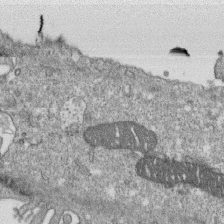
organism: African green monkey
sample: Vero E6 cells infected with SARS-CoV-2